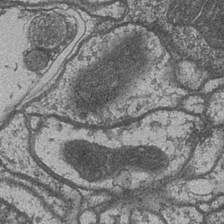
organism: Drosophila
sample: Optic medulla